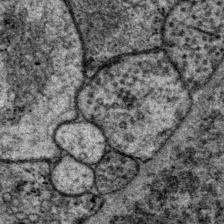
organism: P. pacificus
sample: Pharynx